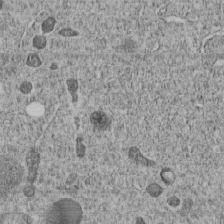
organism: C. elegans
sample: C. elegans embryo early stage